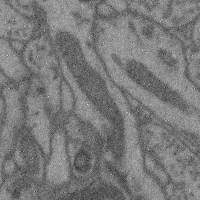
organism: Mouse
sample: Cerebral cortex